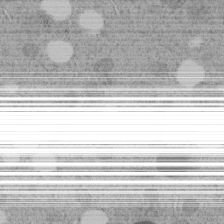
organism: C. elegans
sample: C. elegans embryo early stage